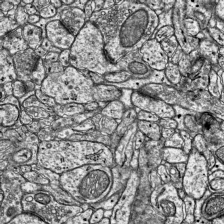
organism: Mouse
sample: Visual Cortex